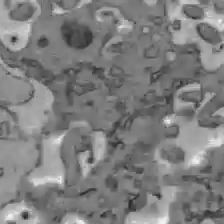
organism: C57BL Mouse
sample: Liver